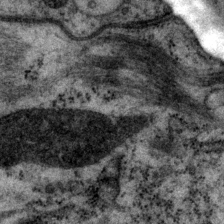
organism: P. pacificus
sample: Pharynx